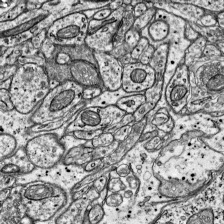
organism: Mouse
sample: Visual Cortex